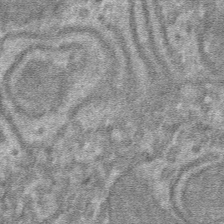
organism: Mouse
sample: Mouse hepatocytes